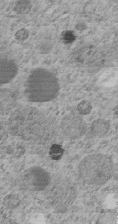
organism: C. elegans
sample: C. elegans embryo early stage